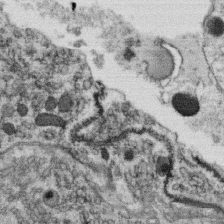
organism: C. elegans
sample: C. elegans oocyte; sperm cells